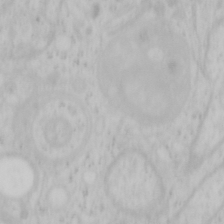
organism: Mouse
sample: OT-I killer T cells with ID8 ovarian cancer cells